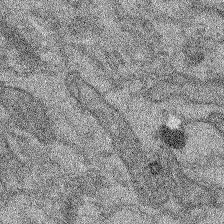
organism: Human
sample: HeLa cells